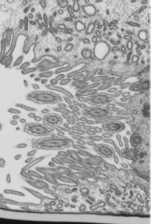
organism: Mouse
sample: Mouse epididymis efferent ductule cilia